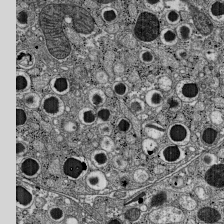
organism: C57BL Mouse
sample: Pancreatic islet